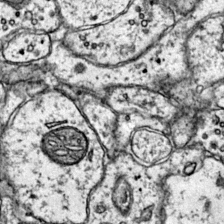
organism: Mouse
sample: Primary visual cortex